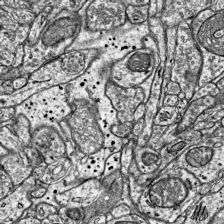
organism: Mouse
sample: Visual Cortex